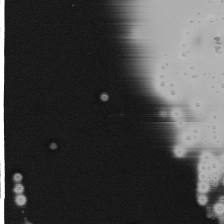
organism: Mouse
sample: Cancer cell death in ED-1 cells